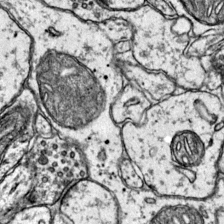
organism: Mouse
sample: Primary visual cortex